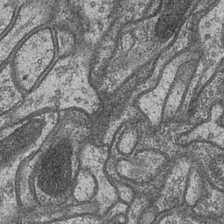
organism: Drosophila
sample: Optic medulla